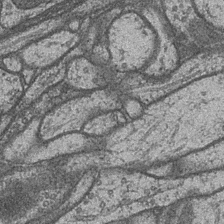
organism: Drosophila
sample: Optic medulla